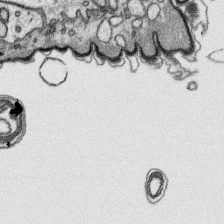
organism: Platynereis dumerilii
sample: Parapodia